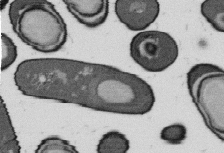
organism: B. subtilis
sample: Bacterial spore